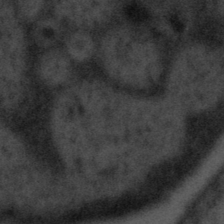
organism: Tuwongella immobilis